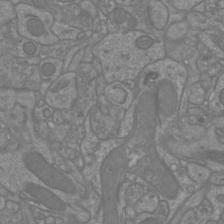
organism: Mouse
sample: Cortical neurons